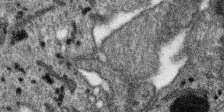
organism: Human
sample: Lung epithelial cells infected with SARS-CoV-2